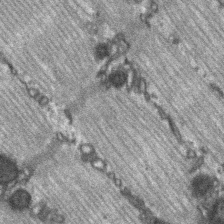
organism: C57BL Mouse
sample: Soleus